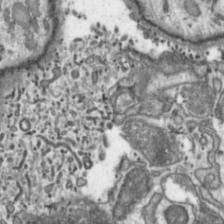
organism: Toxoplasma gondii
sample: Parasites in a vacuole inside a host cell